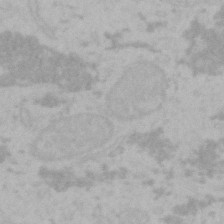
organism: Mouse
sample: Choroid plexus